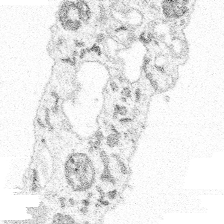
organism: Spongilla lacustris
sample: Multiple